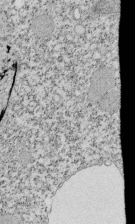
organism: Tetrahymena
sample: Cilia in tetrahymena